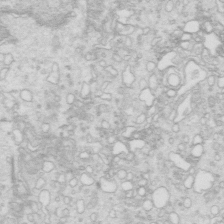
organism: Mouse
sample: Multiciliated cells